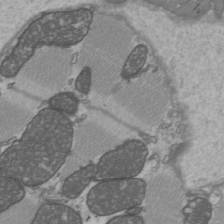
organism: C57BL Mouse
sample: Heart